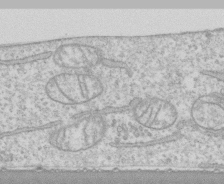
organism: Human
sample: CRL-1474